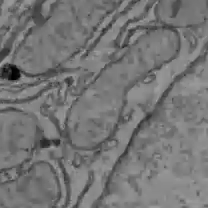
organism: C57BL Mouse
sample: Liver